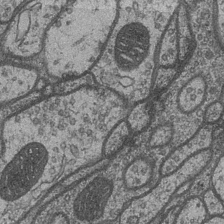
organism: Drosophila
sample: Optic medulla